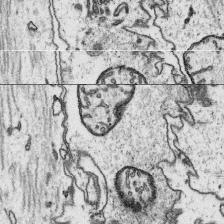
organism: Platynereis dumerilii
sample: Parapodia